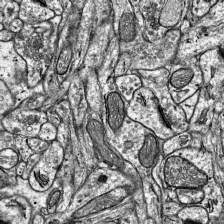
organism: Mouse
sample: Visual Cortex